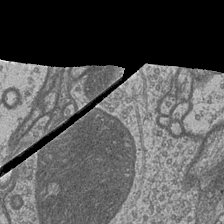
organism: Drosophila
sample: Optic medulla